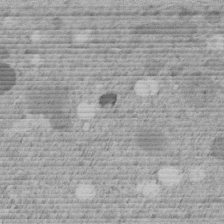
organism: C. elegans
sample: C. elegans embryo early stage